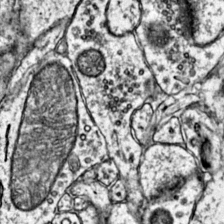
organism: Mouse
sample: Primary visual cortex